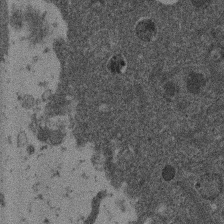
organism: Mouse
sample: Dividing mouse embryo 1 cell stage